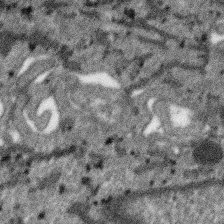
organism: Human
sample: Lung epithelial cells infected with SARS-CoV-2